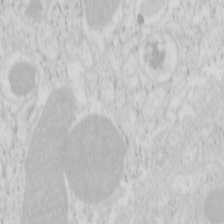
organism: Mouse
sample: Pancreas